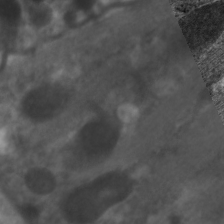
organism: C. elegans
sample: Pharynx